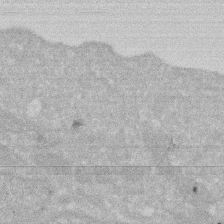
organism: Human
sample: HIV infected U937 cells